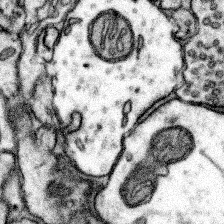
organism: Mouse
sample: Somatosensory cortex neuropil